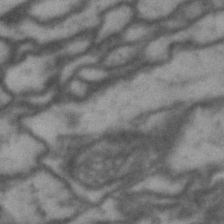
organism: Drosophila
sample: Brain